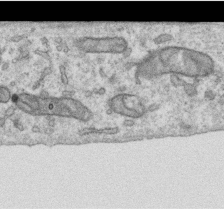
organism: Human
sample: Centriole in RPE cells